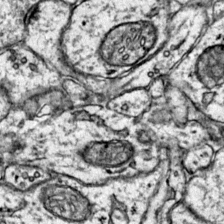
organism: Mouse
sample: Primary visual cortex